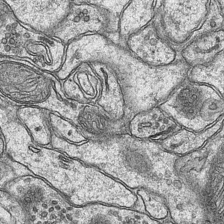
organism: Mouse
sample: CA1 Hippocampus